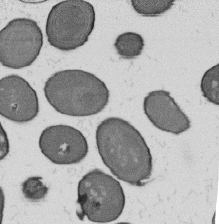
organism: B. subtilis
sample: Bacterial spore